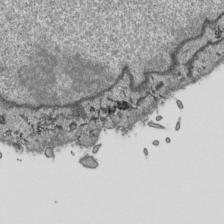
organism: Human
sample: Mitochondria in HCT116 cells